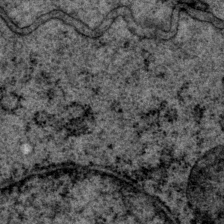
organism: P. pacificus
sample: Pharynx